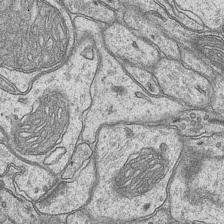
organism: Mouse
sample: CA1 Hippocampus